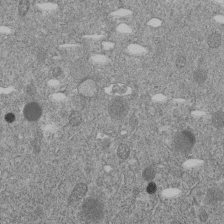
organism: C. elegans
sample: C. elegans embryo early stage